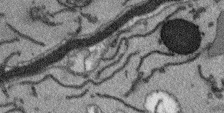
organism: Arabidopsis thaliana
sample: Root tip